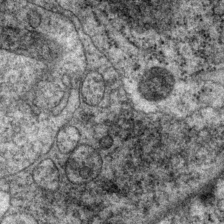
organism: P. pacificus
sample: Pharynx